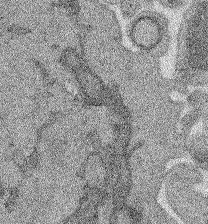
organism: Human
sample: HeLa cells